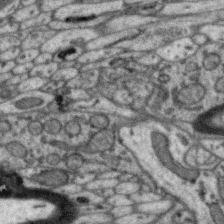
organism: Zebra finch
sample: Brain